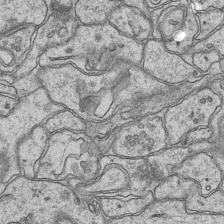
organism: Mouse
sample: CA1 Hippocampus